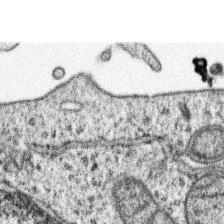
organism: Human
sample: HeLa cells